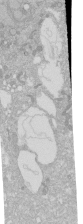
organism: Human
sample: Caco-2 cells